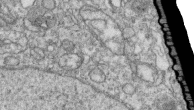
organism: Human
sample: HeLa cell HIV synapse